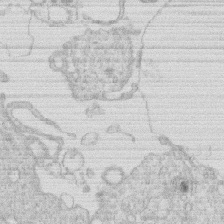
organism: Human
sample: Macrophage cells